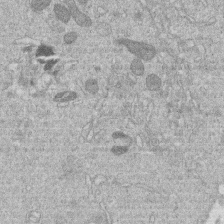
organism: Human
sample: Macrophage cells